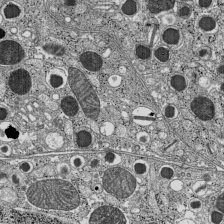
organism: C57BL Mouse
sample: Pancreatic islet